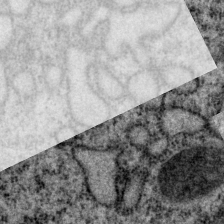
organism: P. pacificus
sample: Pharynx